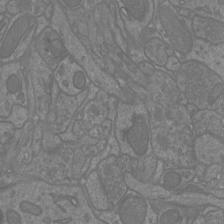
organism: Mouse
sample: Cortical neurons